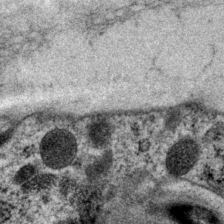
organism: P. pacificus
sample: Pharynx